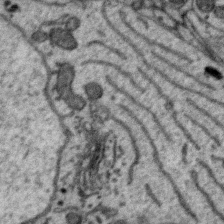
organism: Zebra finch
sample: Brain